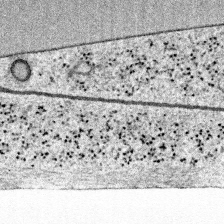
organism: Human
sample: HeLa cells